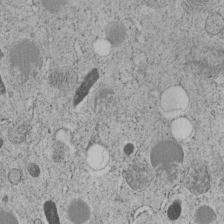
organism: C. elegans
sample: C. elegans embryo early stage